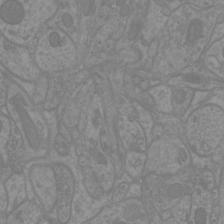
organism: Mouse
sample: Cortical neurons